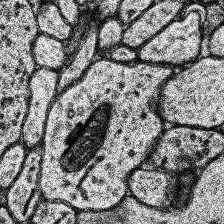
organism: Human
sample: Temporal Lobe